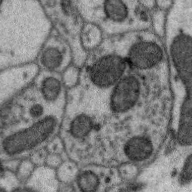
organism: Zebra finch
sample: Brain